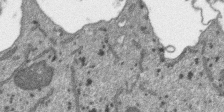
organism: Human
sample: Lung epithelial cells infected with SARS-CoV-2